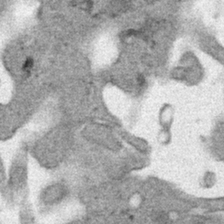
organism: Human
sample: Mitochondria in HCT116 cells